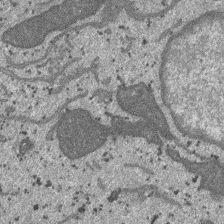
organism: Human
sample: Lung epithelial cells infected with SARS-CoV-2